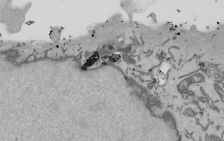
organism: Mouse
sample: ED-1 cell nuclei; centrioles